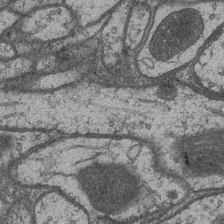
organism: Drosophila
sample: Optic medulla